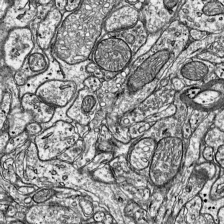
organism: Mouse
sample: Visual Cortex